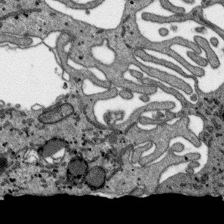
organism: Human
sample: Lung epithelial cells, uninfected (mock) control